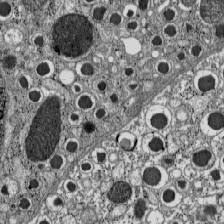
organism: C57BL Mouse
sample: Pancreatic islet